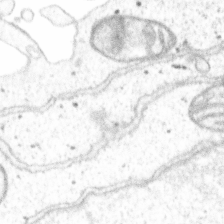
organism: Human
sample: HeLa cells